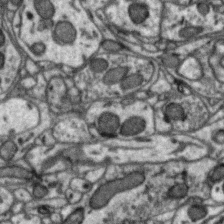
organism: Zebra finch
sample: Brain